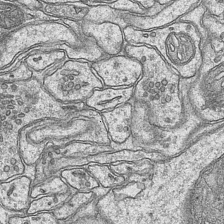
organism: Mouse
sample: CA1 Hippocampus